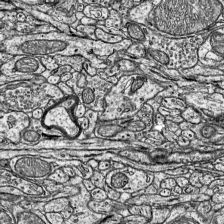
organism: Mouse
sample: Visual Cortex